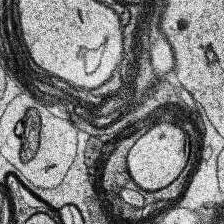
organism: Human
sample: Temporal Lobe